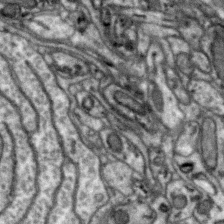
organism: Zebra finch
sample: Brain